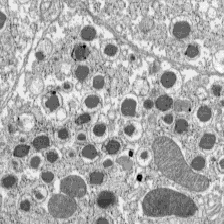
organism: C57BL Mouse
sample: Pancreatic islet